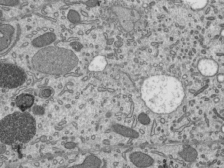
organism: Mouse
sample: Mouse epididymis efferent ductule cilia